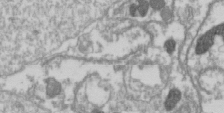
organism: Drosophila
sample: Cell division; meiosis; drosophila spermatocytes